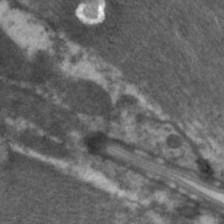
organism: C. elegans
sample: Pharynx